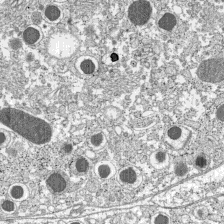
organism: C57BL Mouse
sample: Pancreatic islet